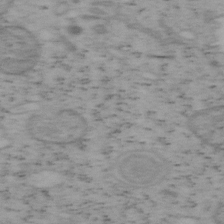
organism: Mouse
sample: OT-I killer T cells with ID8 ovarian cancer cells